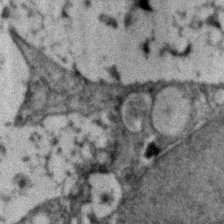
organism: Zebrafish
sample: Zebrafish embryo